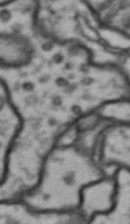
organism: Drosophila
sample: Brain